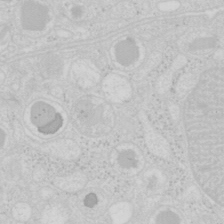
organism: Mouse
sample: Pancreas